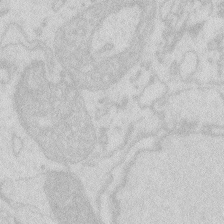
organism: Zebrafish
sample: Macrophage